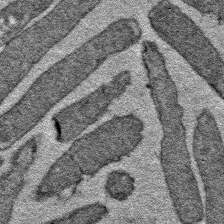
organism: E. coli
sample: E. Coli Bacteria